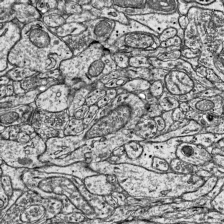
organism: Mouse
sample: Visual Cortex